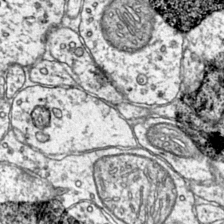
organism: Mouse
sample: Primary visual cortex